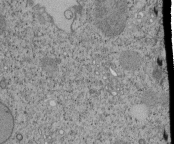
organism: Tetrahymena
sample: Cilia in tetrahymena